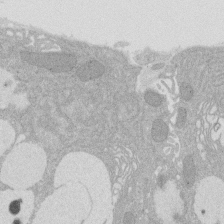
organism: Rat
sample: Salivary granule